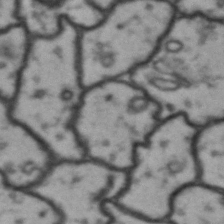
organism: Drosophila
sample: Brain